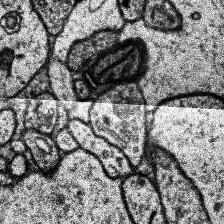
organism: Human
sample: Temporal Lobe